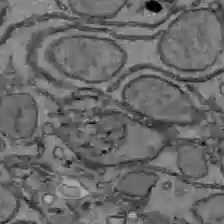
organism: C57BL Mouse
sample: Liver